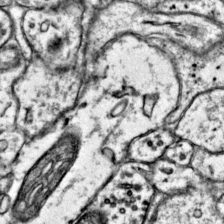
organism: Mouse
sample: Primary visual cortex